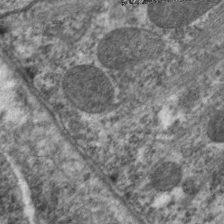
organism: C. elegans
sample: Pharynx